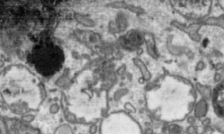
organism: Toxoplasma gondii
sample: Parasites in a vacuole inside a host cell